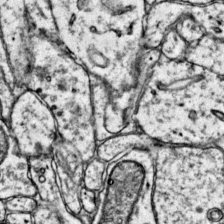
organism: Mouse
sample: Primary visual cortex